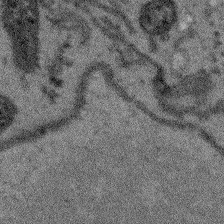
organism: Arabidopsis thaliana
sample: Root tip